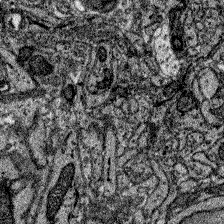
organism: Zebrafish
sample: Larval olfactory bulb